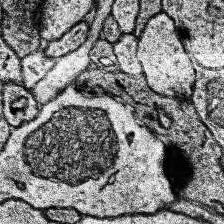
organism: Human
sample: Temporal Lobe